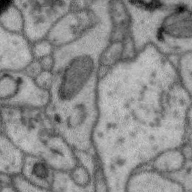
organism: Zebra finch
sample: Brain